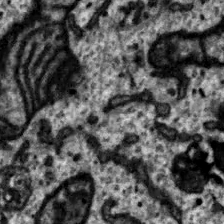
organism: Human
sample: HeLa cells